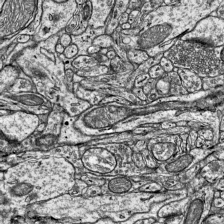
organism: Mouse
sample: Visual Cortex